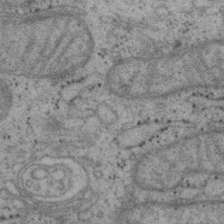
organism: Human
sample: HeLa cells